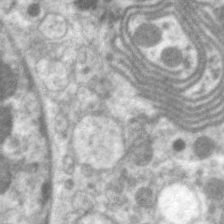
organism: C. elegans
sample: Pharynx